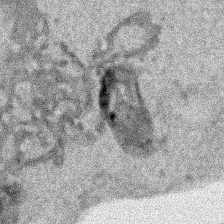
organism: Human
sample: Mitochondria in HCT116 cells